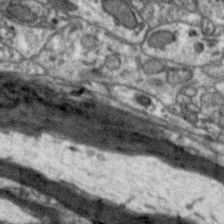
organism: Zebra finch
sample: Brain